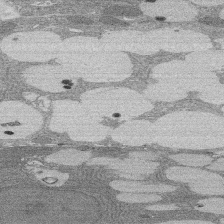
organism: Rat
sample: Salivary granule